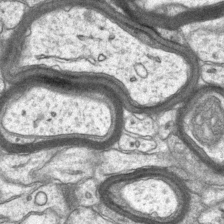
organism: Mouse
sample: CA1 Hippocampus